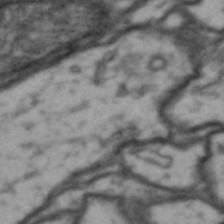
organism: Drosophila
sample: Brain